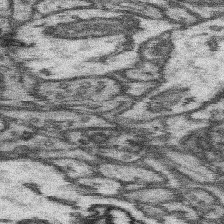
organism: Mouse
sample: Somatosensory cortex neuropil